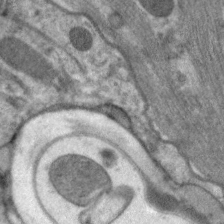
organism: C. elegans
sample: Pharynx